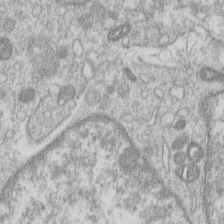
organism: Human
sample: Macrophage cells